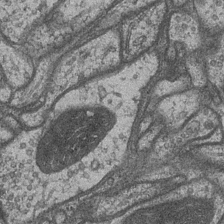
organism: Drosophila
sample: Optic medulla